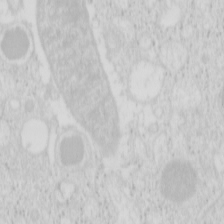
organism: Mouse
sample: Pancreas